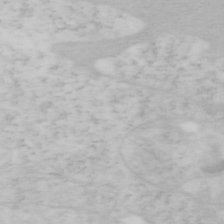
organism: Mouse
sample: OT-I killer T cells with ID8 ovarian cancer cells